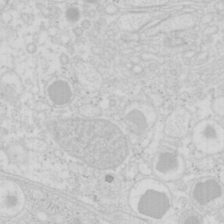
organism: Mouse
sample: Pancreas